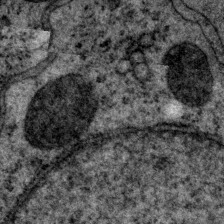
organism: P. pacificus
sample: Pharynx